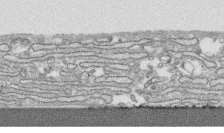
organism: Human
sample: CRL-1474